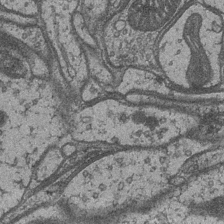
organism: Drosophila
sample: Optic medulla